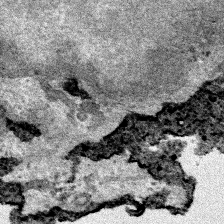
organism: Human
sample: Mitochondria in HCT116 cells